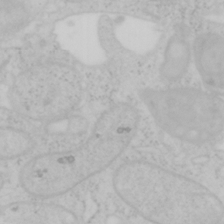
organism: Mouse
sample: OT-I killer T cells with ID8 ovarian cancer cells